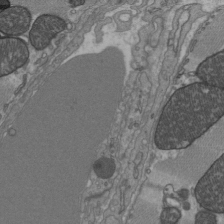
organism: C57BL Mouse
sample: Heart